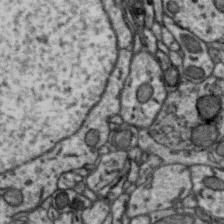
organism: Zebra finch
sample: Brain